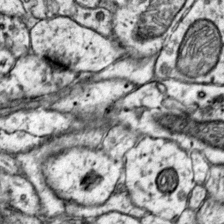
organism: Mouse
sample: Primary visual cortex